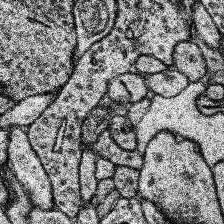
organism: Human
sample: Temporal Lobe